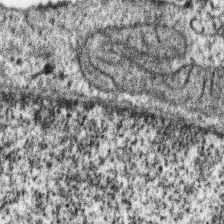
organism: Human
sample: HeLa cells